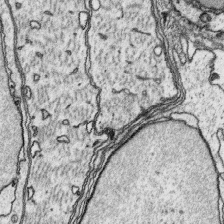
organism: Platynereis dumerilii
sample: Parapodia